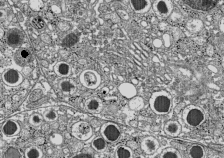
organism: C57BL Mouse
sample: Pancreatic islet